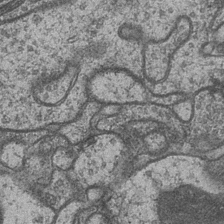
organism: Drosophila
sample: Optic medulla